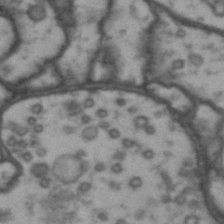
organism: Drosophila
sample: Brain